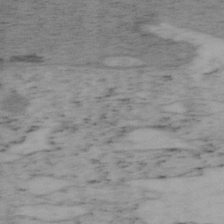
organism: Mouse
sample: OT-I killer T cells with ID8 ovarian cancer cells